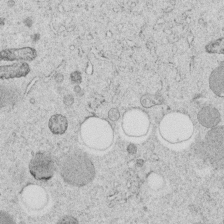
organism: C. elegans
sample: C. elegans embryo early stage